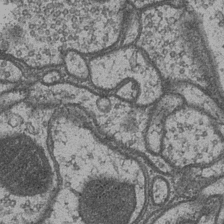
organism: Drosophila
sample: Optic medulla